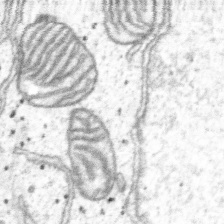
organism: Human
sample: HeLa cells